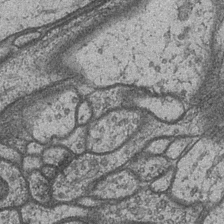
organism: Drosophila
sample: Optic medulla